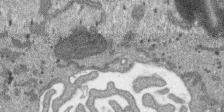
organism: Human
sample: Lung epithelial cells infected with SARS-CoV-2